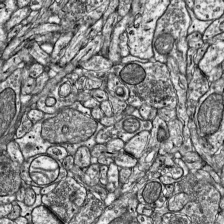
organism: Mouse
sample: Visual Cortex